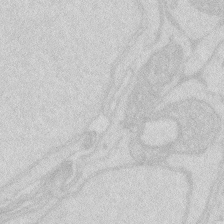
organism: Zebrafish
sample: Macrophage